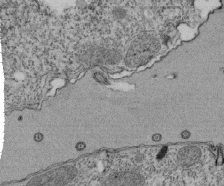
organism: Tetrahymena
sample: Cilia in tetrahymena